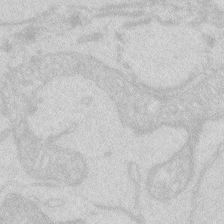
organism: Zebrafish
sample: Macrophage